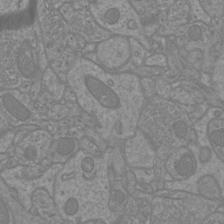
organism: Mouse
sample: Cortical neurons